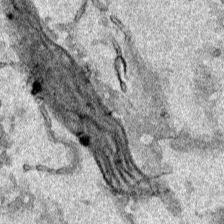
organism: Human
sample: Mitochondria in HCT116 cells